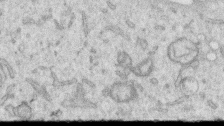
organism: Human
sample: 1205lu cells